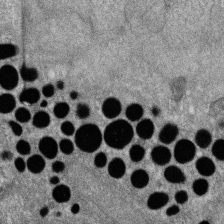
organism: Zebrafish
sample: Cilia; retinal pigment epithelium